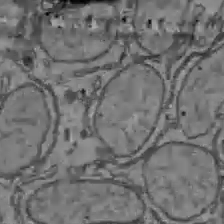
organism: C57BL Mouse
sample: Liver